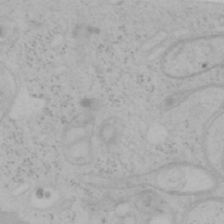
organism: Mouse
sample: OT-I killer T cells with ID8 ovarian cancer cells